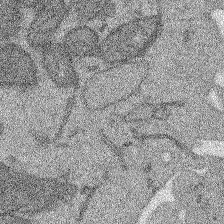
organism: Human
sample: HeLa cells